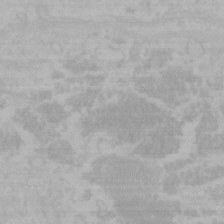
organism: Mouse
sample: Choroid plexus